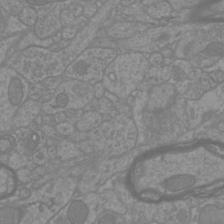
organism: Mouse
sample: Cortical neurons